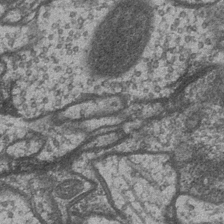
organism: Drosophila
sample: Optic medulla